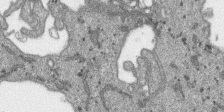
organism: Human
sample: Lung epithelial cells infected with SARS-CoV-2